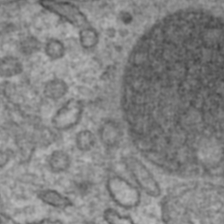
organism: Human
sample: Blood